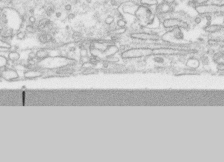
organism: Human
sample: CRL-1474